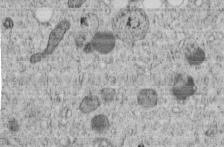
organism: C. elegans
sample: C. elegans embryo early stage